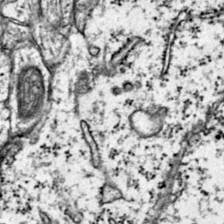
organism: Mouse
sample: Primary visual cortex